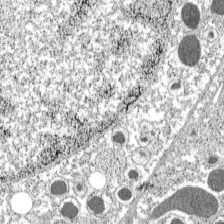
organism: C57BL Mouse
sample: Pancreatic islet